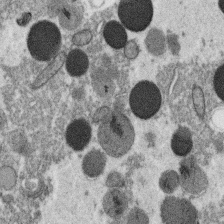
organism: C. elegans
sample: C. elegans oocyte; sperm cells